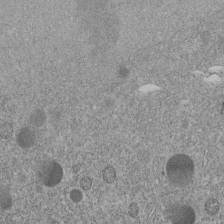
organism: C. elegans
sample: C. elegans embryo early stage